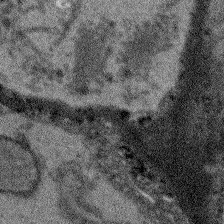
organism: Arabidopsis thaliana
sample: Root tip